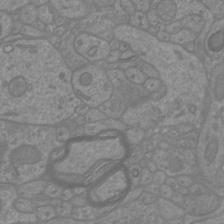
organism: Mouse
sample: Cortical neurons